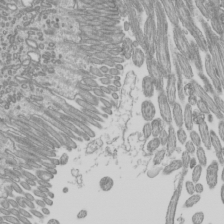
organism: Mouse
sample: Cilia; mouse epididymis